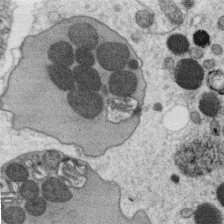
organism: C. elegans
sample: C. elegans oocyte; sperm cells